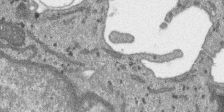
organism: Human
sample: Lung epithelial cells infected with SARS-CoV-2